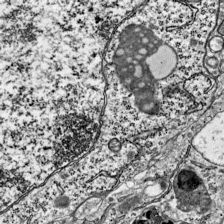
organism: Mouse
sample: Visual Cortex